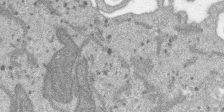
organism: Human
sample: Lung epithelial cells infected with SARS-CoV-2